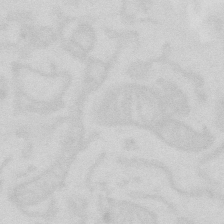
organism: Human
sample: HeLa cells